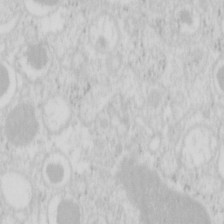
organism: Mouse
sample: Pancreas